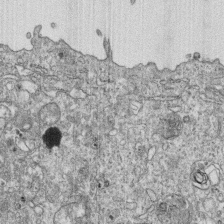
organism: Human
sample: HeLa cell HIV synapse